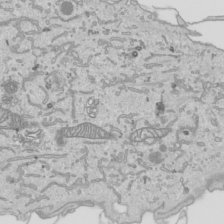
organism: Human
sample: Mitochondria in HCT116 cells